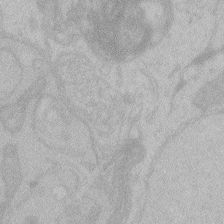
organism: Zebrafish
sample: Macrophage infected with Toxoplasma gondii